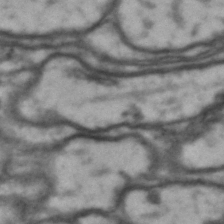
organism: Drosophila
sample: Brain